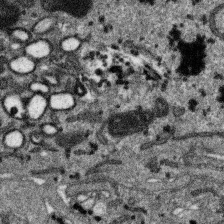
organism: Human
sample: Lung epithelial cells infected with SARS-CoV-2